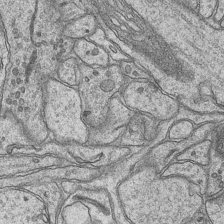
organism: Mouse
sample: CA1 Hippocampus